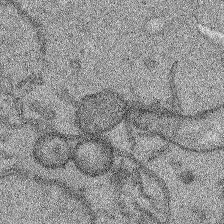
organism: Human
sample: HeLa cells